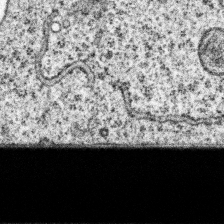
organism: Human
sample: HeLa cells